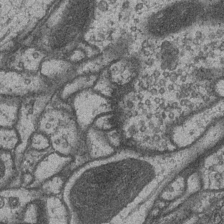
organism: Drosophila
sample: Optic medulla